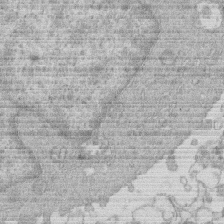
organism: Human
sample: Macrophage cells